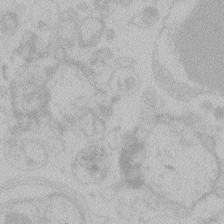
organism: Zebrafish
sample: Macrophage infected with Toxoplasma gondii